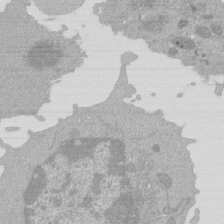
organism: Mouse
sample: Activated Pmel transgenic CD8+ T Cells